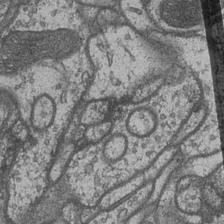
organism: Drosophila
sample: Optic medulla